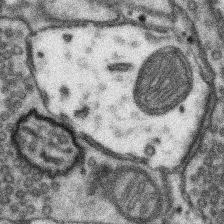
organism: Mouse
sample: Somatosensory cortex neuropil